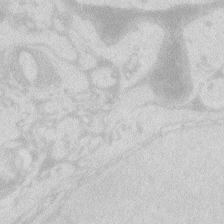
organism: Zebrafish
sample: Macrophage